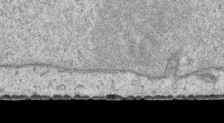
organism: Human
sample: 1205lu cells